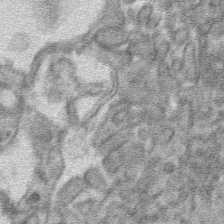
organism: Mouse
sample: Mouse hepatocytes